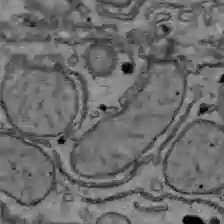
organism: C57BL Mouse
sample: Liver